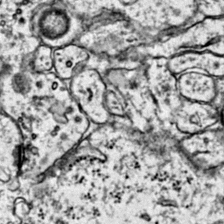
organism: Mouse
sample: Primary visual cortex